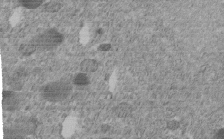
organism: C. elegans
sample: C. elegans embryo early stage